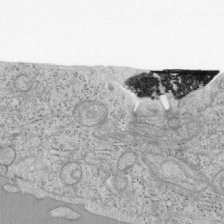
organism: Human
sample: HeLa cells